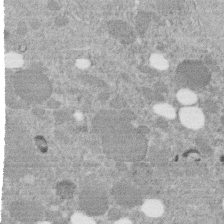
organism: C. elegans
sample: C. elegans embryo early stage